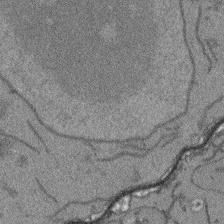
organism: Arabidopsis thaliana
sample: Root tip